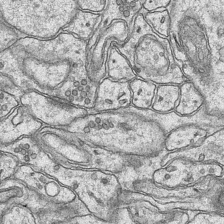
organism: Mouse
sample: CA1 Hippocampus